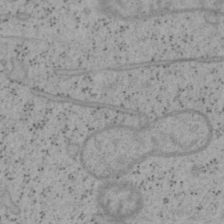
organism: Human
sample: HeLa cells